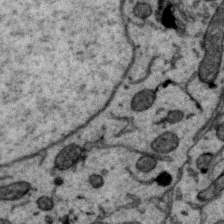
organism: Zebra finch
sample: Brain